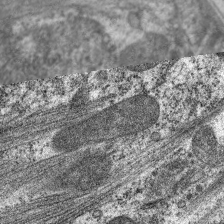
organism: C. elegans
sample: Pharynx